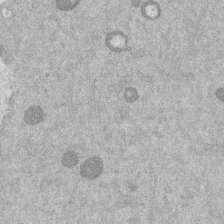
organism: Mouse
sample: Dividing mouse embryo 1 cell stage